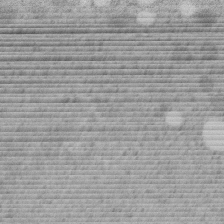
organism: C. elegans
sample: C. elegans embryo early stage